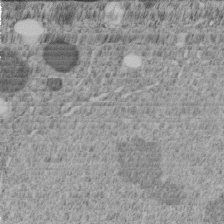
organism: C. elegans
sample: C. elegans embryo early stage